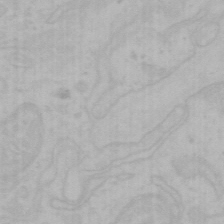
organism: Mouse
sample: Choroid plexus